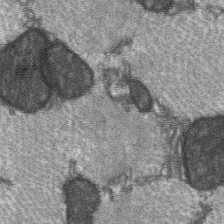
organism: C57BL Mouse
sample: Soleus